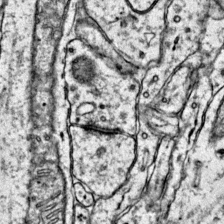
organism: Mouse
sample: Primary visual cortex